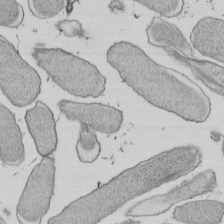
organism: E. coli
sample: Bacterial nucleoid